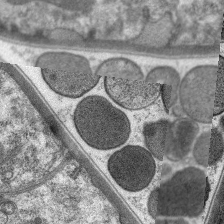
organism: C. elegans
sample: Pharynx